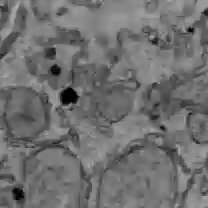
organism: C57BL Mouse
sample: Liver